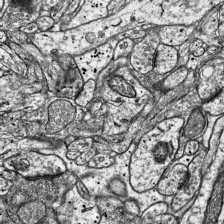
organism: Mouse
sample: Visual Cortex